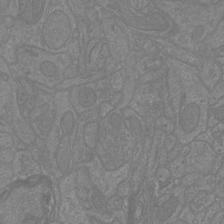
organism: Mouse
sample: Cortical neurons